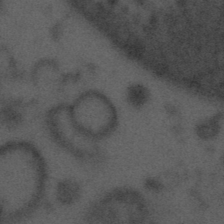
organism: Tuwongella immobilis